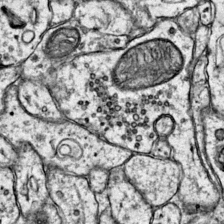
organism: Mouse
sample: Primary visual cortex